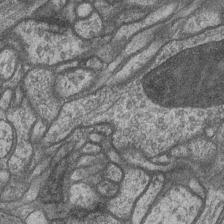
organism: Drosophila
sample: Optic medulla